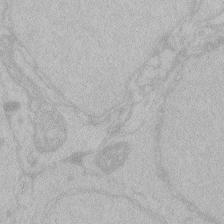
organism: Zebrafish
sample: Macrophage infected with Toxoplasma gondii